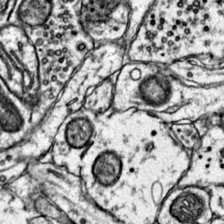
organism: Mouse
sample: Primary visual cortex